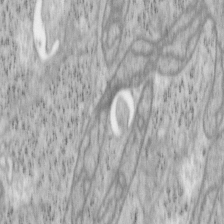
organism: Human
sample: HeLa cells